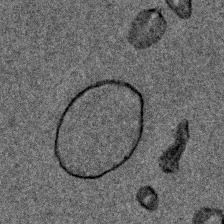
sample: Trachea